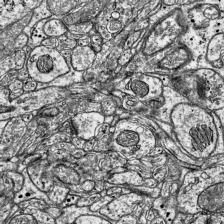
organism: Mouse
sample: Visual Cortex